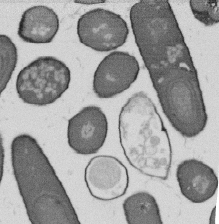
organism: B. subtilis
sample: Bacterial spore